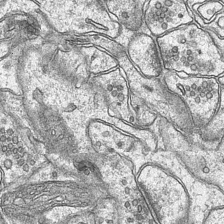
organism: Mouse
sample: CA1 Hippocampus